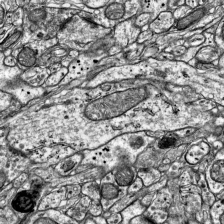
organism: Mouse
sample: Visual Cortex